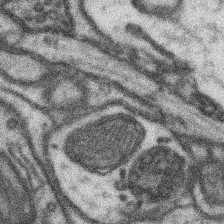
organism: Mouse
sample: Somatosensory cortex neuropil